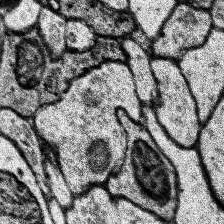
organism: Human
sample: Temporal Lobe